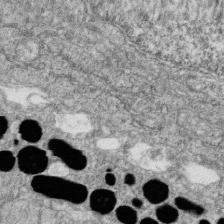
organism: Zebrafish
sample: Cilia; retinal pigment epithelium